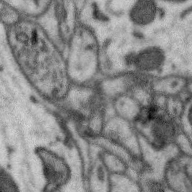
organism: Zebra finch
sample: Brain